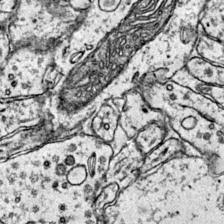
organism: Mouse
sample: Primary visual cortex